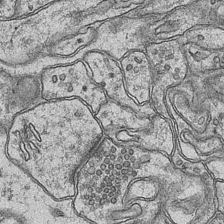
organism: Mouse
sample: CA1 Hippocampus